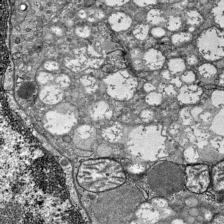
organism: Mouse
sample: Visual Cortex